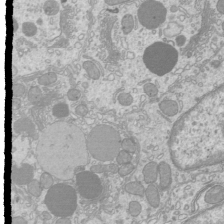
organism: Mouse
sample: Cilia; mouse epididymis